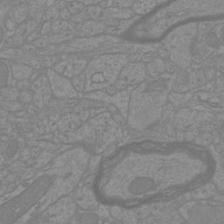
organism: Mouse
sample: Cortical neurons